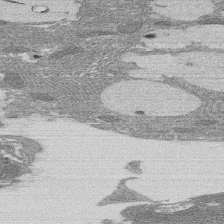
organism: Rat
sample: Salivary granule